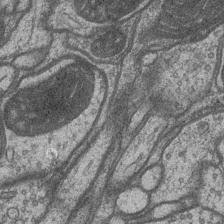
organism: Drosophila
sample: Optic medulla